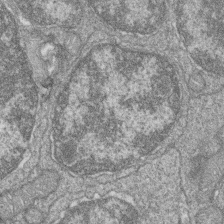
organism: Zebrafish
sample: Cilia; retinal pigment epithelium